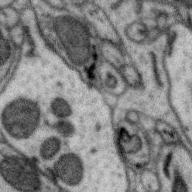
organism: Zebra finch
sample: Brain